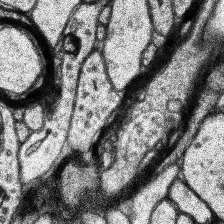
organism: Human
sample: Temporal Lobe